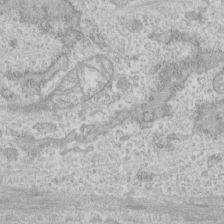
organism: Human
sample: CRL-1474